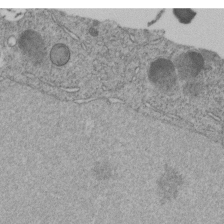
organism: C. elegans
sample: C. elegans embryo early stage